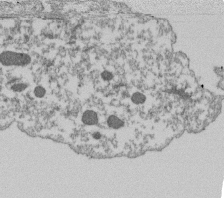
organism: Dictyostelium discoideum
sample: Dictyostelium multivesicular bodies